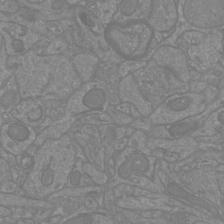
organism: Mouse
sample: Cortical neurons